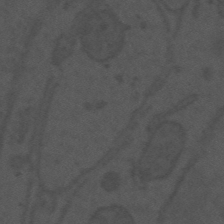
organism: Mouse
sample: Suprachiasmatic nucleus